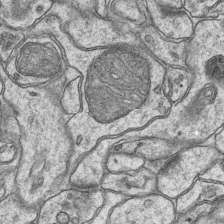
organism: Mouse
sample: CA1 Hippocampus